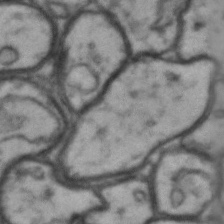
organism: Drosophila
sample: Brain